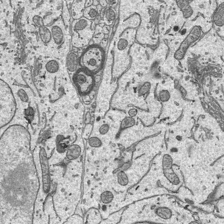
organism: Mouse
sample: Suprachiasmatic nucleus